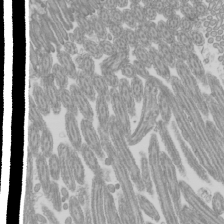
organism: Mouse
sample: Cilia; mouse epididymis